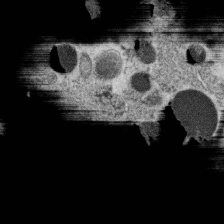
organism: C. elegans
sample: C. elegans oocyte; sperm cells